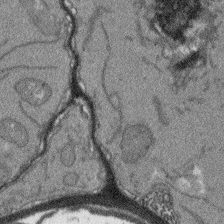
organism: Arabidopsis thaliana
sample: Root tip